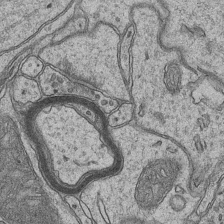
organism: Mouse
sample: CA1 Hippocampus